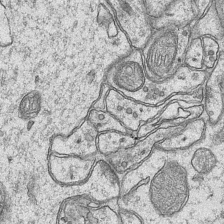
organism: Mouse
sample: CA1 Hippocampus